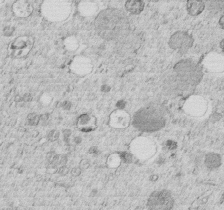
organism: C. elegans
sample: C. elegans embryo early stage